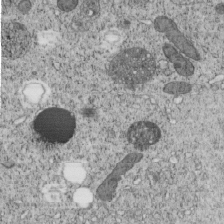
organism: C. elegans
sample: C. elegans embryo early stage